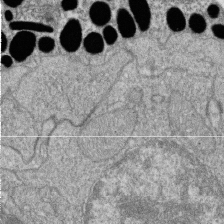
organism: Zebrafish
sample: Cilia; retinal pigment epithelium